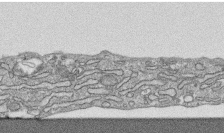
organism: Human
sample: CRL-1474